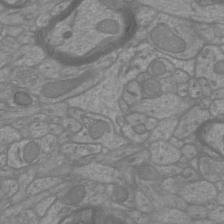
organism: Mouse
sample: Cortical neurons